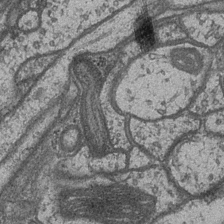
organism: Drosophila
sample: Optic medulla